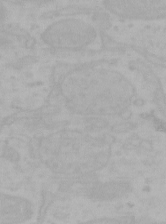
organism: Mouse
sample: Choroid plexus